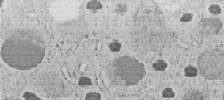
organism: C. elegans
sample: C. elegans embryo early stage